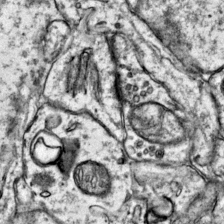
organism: Mouse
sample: Primary visual cortex